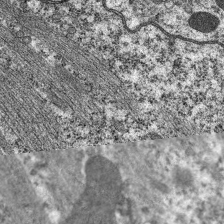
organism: C. elegans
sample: Pharynx